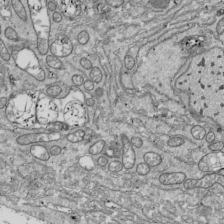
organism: Drosophila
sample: Cell division; meiosis; drosophila spermatocytes